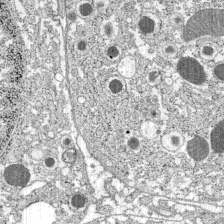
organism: C57BL Mouse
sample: Pancreatic islet